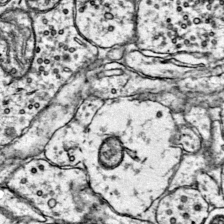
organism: Mouse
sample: Primary visual cortex